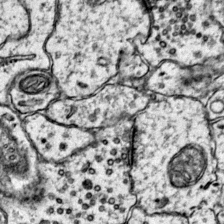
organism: Mouse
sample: Primary visual cortex